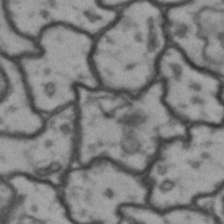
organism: Drosophila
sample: Brain